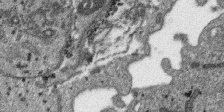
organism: Human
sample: Lung epithelial cells infected with SARS-CoV-2